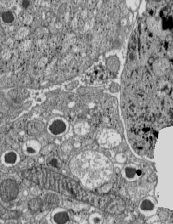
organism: C57BL Mouse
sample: Pancreatic islet